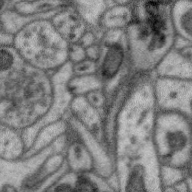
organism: Zebra finch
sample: Brain